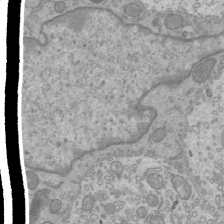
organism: Mouse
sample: Cilia; mouse epididymis